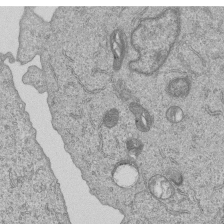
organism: Human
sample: MDA-MB-231 cells